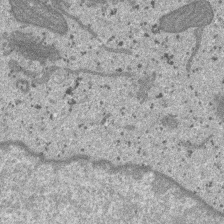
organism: Human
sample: Lung epithelial cells infected with SARS-CoV-2